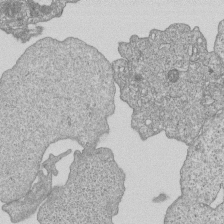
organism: Human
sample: MDA-MB-231 cells